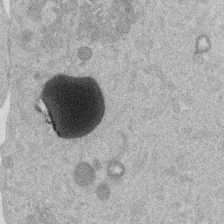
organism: Mouse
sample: Dividing mouse embryo 1 cell stage